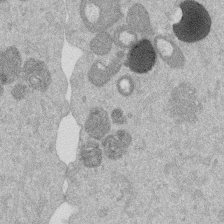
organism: Mouse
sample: Dividing mouse embryo 1 cell stage